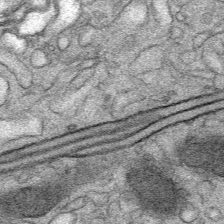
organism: Mouse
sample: Mouse Salivary gland